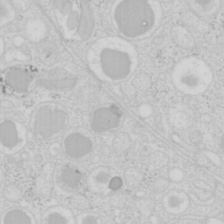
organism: Mouse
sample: Pancreas